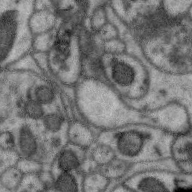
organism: Zebra finch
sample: Brain